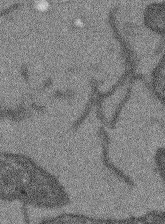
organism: Arabidopsis thaliana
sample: Root tip